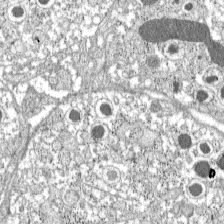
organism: C57BL Mouse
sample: Pancreatic islet